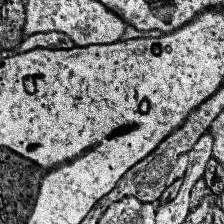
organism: Human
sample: Temporal Lobe